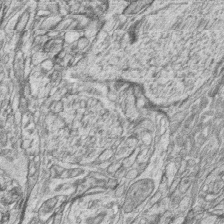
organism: Zebrafish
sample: synaptic ribbons in rod cells and cone cells